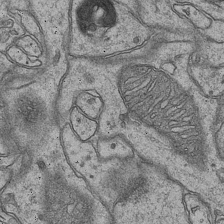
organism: Mouse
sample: CA1 Hippocampus